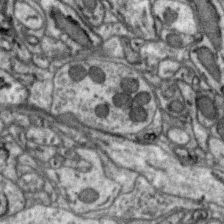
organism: Zebra finch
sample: Brain